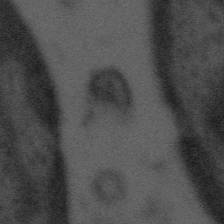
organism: Tuwongella immobilis